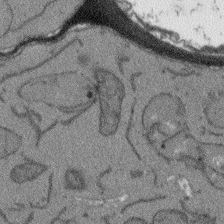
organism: Arabidopsis thaliana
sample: Root tip